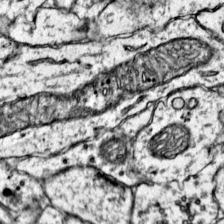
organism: Mouse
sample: Primary visual cortex